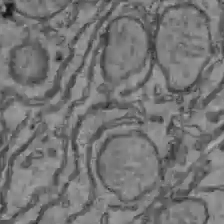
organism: C57BL Mouse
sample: Liver